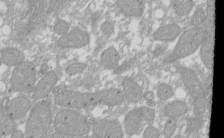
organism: Xenopus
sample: Cilia; centrioles in frog embryo cells